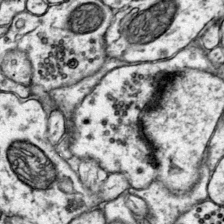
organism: Mouse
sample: Primary visual cortex